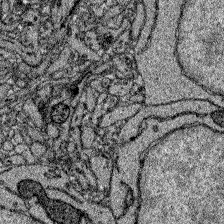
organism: Zebrafish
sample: Larval olfactory bulb